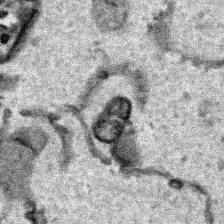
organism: Human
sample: Mitochondria in HCT116 cells